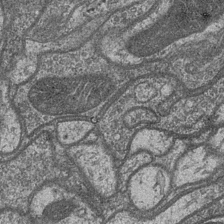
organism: Drosophila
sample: Optic medulla